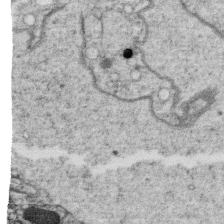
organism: C. elegans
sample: C. elegans oocyte; sperm cells